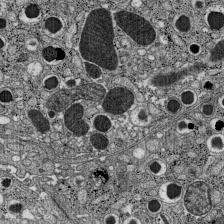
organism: C57BL Mouse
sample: Pancreatic islet